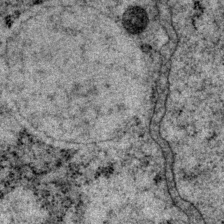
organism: P. pacificus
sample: Pharynx